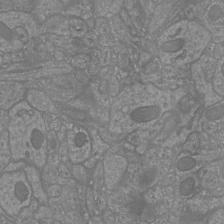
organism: Mouse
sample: Cortical neurons